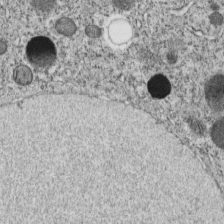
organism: C. elegans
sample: C. elegans embryo early stage